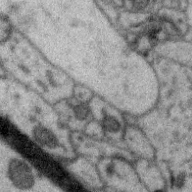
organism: Zebra finch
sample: Brain